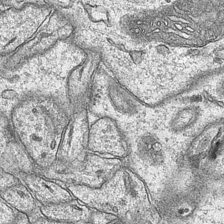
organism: Mouse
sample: CA1 Hippocampus